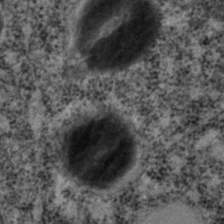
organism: C. elegans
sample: C. elegans embryo